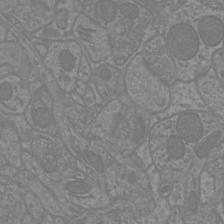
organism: Mouse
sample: Cortical neurons